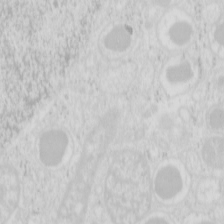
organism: Mouse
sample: Pancreas